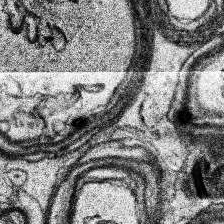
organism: Human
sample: Temporal Lobe